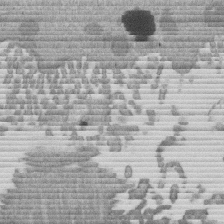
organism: Mouse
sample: Dividing mouse embryo 1 cell stage